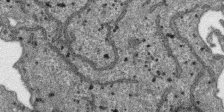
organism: Human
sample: Lung epithelial cells infected with SARS-CoV-2